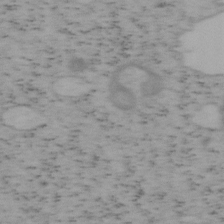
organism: Mouse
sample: OT-I killer T cells with ID8 ovarian cancer cells